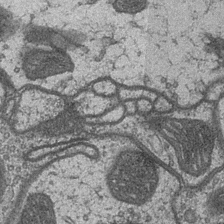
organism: Drosophila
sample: Optic medulla